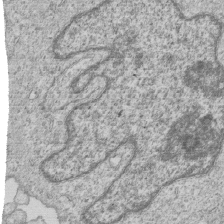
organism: Human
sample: MDA-MB-231 cells